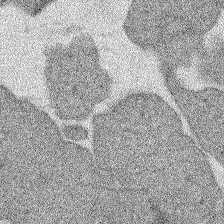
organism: Human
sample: HeLa cells